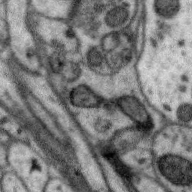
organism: Zebra finch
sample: Brain